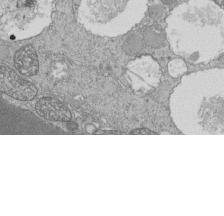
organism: Tetrahymena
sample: Cilia in tetrahymena